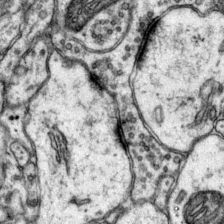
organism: Mouse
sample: Primary visual cortex